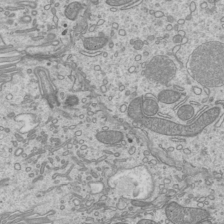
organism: Mouse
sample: Cilia; mouse epididymis